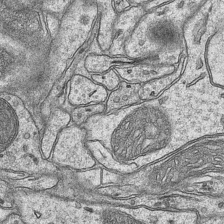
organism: Mouse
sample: CA1 Hippocampus